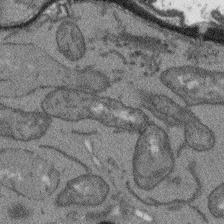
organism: Arabidopsis thaliana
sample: Root tip